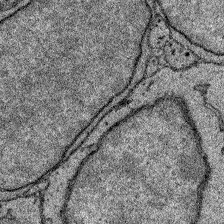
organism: Zebrafish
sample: Larval olfactory bulb